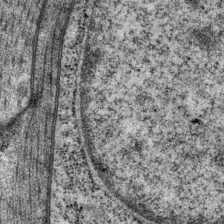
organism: P. pacificus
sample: Pharynx